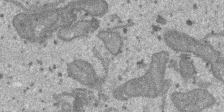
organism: Human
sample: Lung epithelial cells infected with SARS-CoV-2